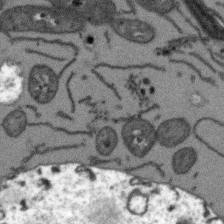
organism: Arabidopsis thaliana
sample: Root tip